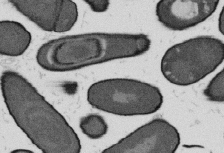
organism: B. subtilis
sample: Bacterial spore